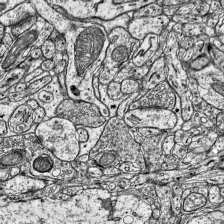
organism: Mouse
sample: Visual Cortex